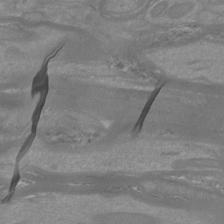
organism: Mouse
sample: Cortical neurons